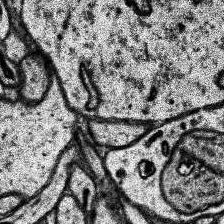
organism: Human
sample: Temporal Lobe